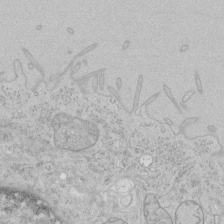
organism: Human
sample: Mitochondria in HCT116 cells